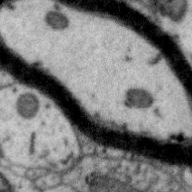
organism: Zebra finch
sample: Brain